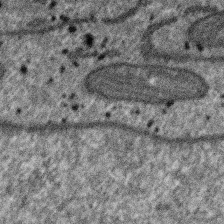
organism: Human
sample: Lung epithelial cells infected with SARS-CoV-2